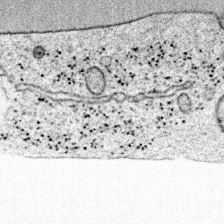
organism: Human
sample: HeLa cells